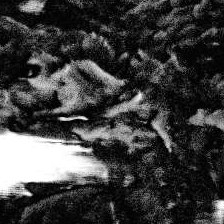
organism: Human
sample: Temporal Lobe